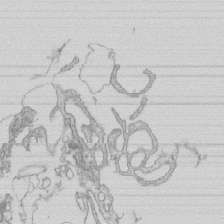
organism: Mouse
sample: Macrophages